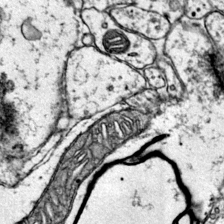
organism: Mouse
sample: Primary visual cortex